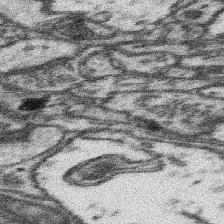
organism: Mouse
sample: Somatosensory cortex neuropil